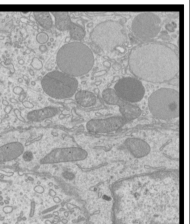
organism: Mouse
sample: Cilia; mouse epididymis